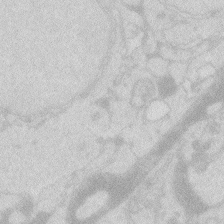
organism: Zebrafish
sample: Macrophage